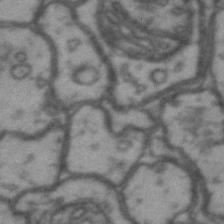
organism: Drosophila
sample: Brain